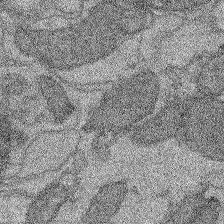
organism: Human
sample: HeLa cells